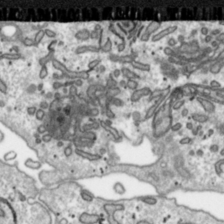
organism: Toxoplasma gondii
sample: Parasites in a vacuole inside a host cell